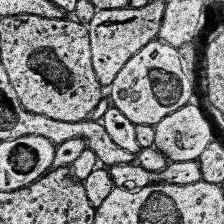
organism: Human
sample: Temporal Lobe